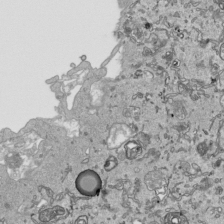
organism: Human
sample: Mitochondria in HCT116 cells